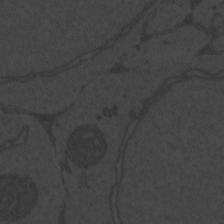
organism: Zebrafish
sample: Macrophage infected with Toxoplasma gondii